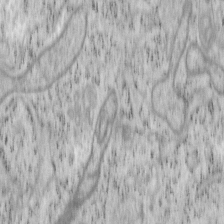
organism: Human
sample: HeLa cells